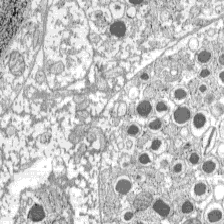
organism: C57BL Mouse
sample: Pancreatic islet